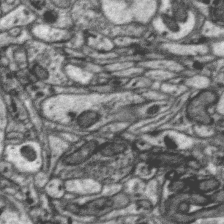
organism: Zebra finch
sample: Brain